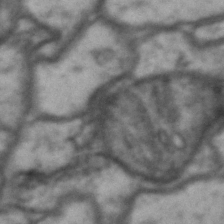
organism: Drosophila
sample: Brain